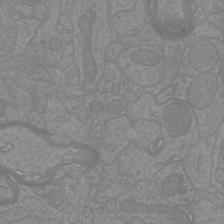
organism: Mouse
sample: Cortical neurons